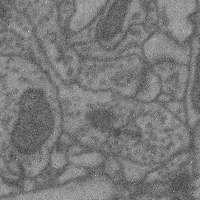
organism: Mouse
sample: Cerebral cortex